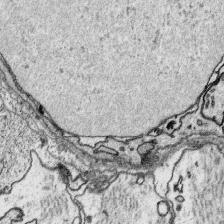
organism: Platynereis dumerilii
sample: Parapodia